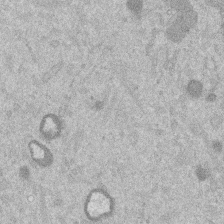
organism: Mouse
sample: Dividing mouse embryo 1 cell stage